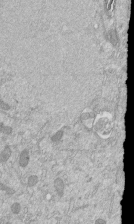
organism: Mouse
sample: ED-1 cell nuclei; centrioles